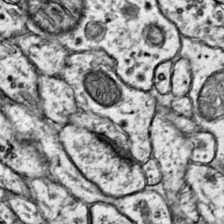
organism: Mouse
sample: Primary visual cortex